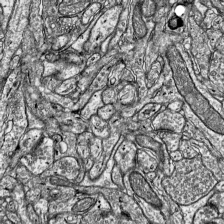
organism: Mouse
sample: Visual Cortex